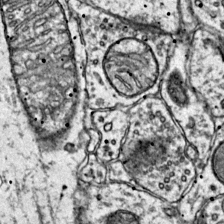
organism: Mouse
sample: Primary visual cortex